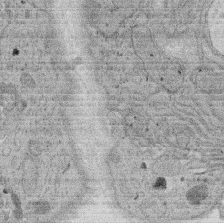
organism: Rat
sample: Salivary granule